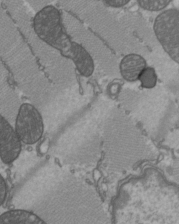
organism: C57BL Mouse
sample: Heart